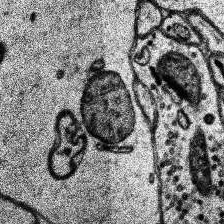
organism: Human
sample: Temporal Lobe